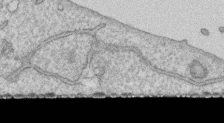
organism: Human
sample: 1205lu cells